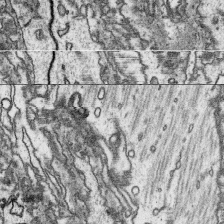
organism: Platynereis dumerilii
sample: Parapodia